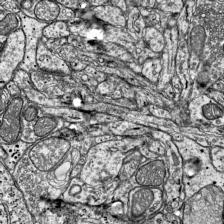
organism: Mouse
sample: Visual Cortex